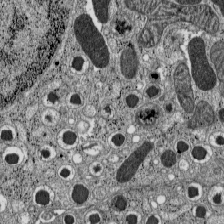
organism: C57BL Mouse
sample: Pancreatic islet